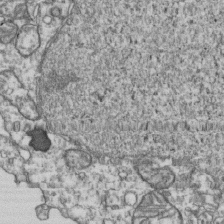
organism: Human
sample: Activated Jurkat CD4+ T cells